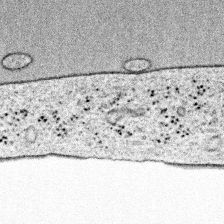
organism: Human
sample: HeLa cells